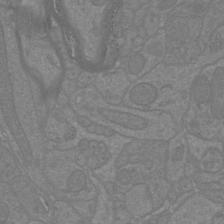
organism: Mouse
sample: Cortical neurons